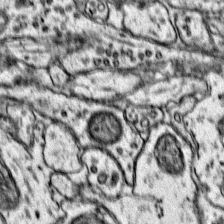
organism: Mouse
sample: Primary visual cortex